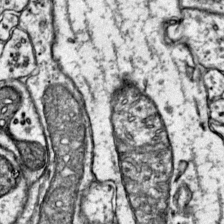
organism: Mouse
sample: Primary visual cortex